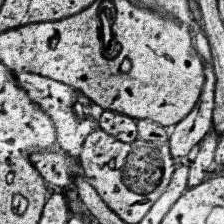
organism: Human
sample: Temporal Lobe